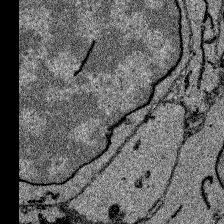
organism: Zebrafish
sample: Larval olfactory bulb